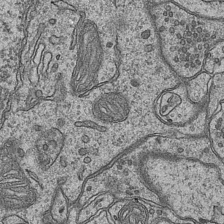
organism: Mouse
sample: CA1 Hippocampus